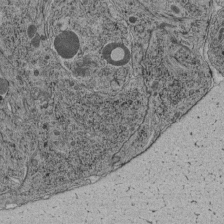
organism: C. elegans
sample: C. elegans pharynx